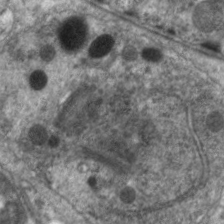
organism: C. elegans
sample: Pharynx